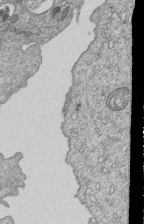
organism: Human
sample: MDA-MB-231 cells